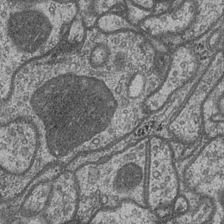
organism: Drosophila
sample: Optic medulla